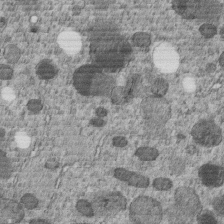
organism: C. elegans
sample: C. elegans embryo early stage